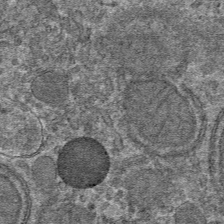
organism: Mouse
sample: Mouse hepatocytes